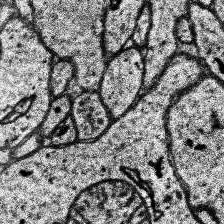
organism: Human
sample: Temporal Lobe